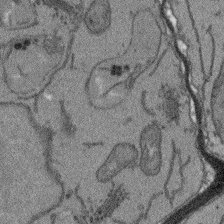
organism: Arabidopsis thaliana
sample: Root tip